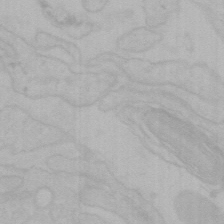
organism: Mouse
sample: Choroid plexus